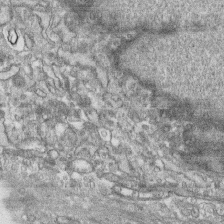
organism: Human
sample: CRL-1474